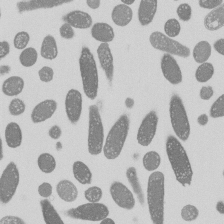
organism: E. coli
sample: Bacterial nucleoid